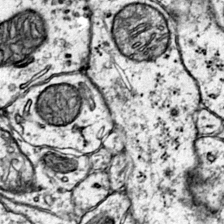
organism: Mouse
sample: Primary visual cortex